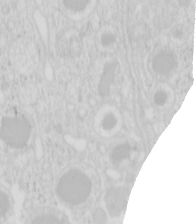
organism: Mouse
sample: Pancreas